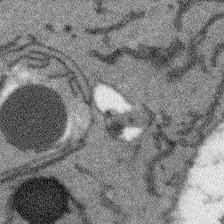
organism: Arabidopsis thaliana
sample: Root tip